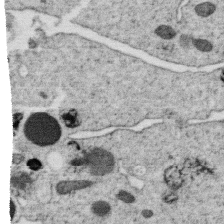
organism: C. elegans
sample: C. elegans oocyte; sperm cells